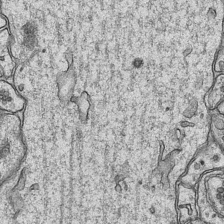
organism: Mouse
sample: CA1 Hippocampus